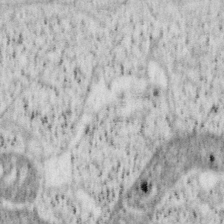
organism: Mouse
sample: OT-I killer T cells with ID8 ovarian cancer cells